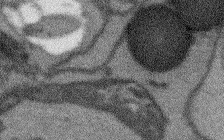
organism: Arabidopsis thaliana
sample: Root tip